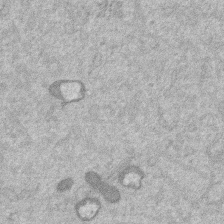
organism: Mouse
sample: Dividing mouse embryo 1 cell stage